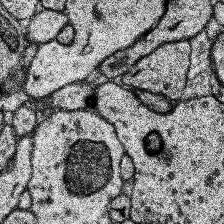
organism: Human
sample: Temporal Lobe